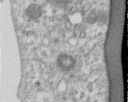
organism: Human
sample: Centriole in RPE cells